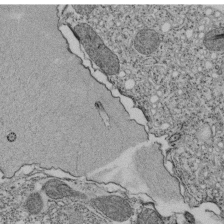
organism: Tetrahymena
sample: Cilia in tetrahymena